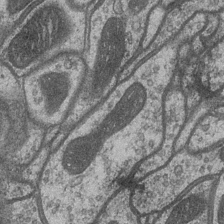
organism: Drosophila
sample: Optic medulla